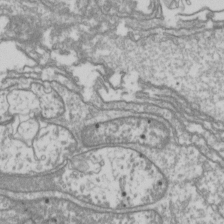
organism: Drosophila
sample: Cell division; meiosis; drosophila spermatocytes